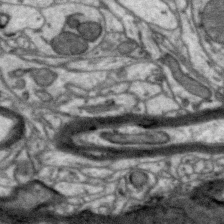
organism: Zebra finch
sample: Brain